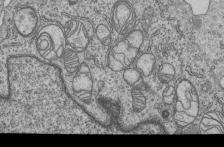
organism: Human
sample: MDA-MB-231 cells